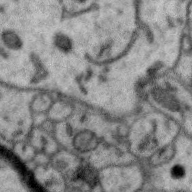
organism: Zebra finch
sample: Brain